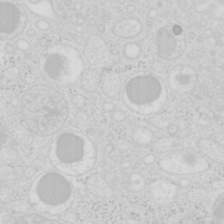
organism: Mouse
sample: Pancreas